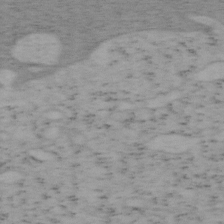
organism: Mouse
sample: OT-I killer T cells with ID8 ovarian cancer cells